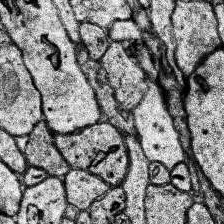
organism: Human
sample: Temporal Lobe